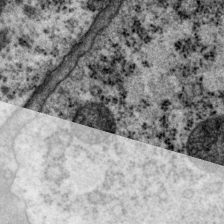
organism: P. pacificus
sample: Pharynx